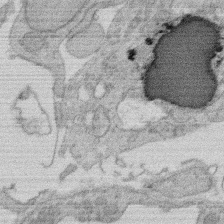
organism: Rat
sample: Salivary granule